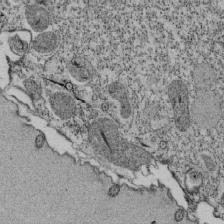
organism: Tetrahymena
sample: Cilia in tetrahymena